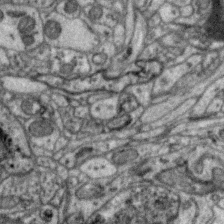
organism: Zebra finch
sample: Brain